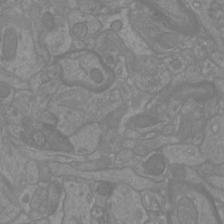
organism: Mouse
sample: Cortical neurons